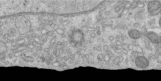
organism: Human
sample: Centriole in RPE cells